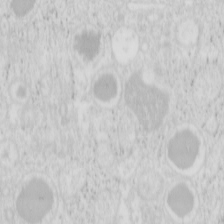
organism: Mouse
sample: Pancreas